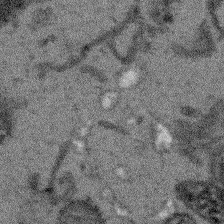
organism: Arabidopsis thaliana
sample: Root tip